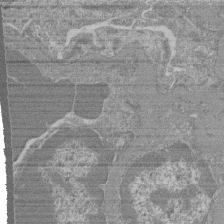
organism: Mouse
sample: Glomerulus